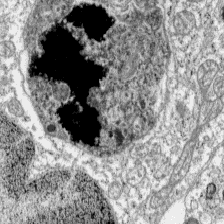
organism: C57BL Mouse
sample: Pancreatic islet